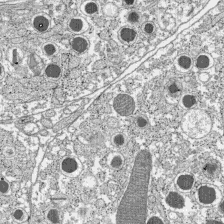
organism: C57BL Mouse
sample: Pancreatic islet